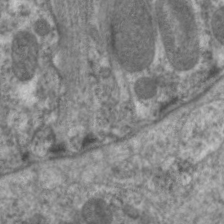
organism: C. elegans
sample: Pharynx